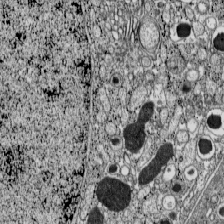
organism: C57BL Mouse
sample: Pancreatic islet